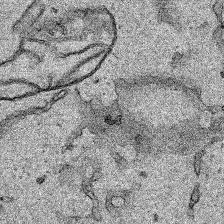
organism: Human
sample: Mitochondria in HCT116 cells